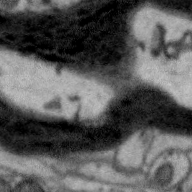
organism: Zebra finch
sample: Brain